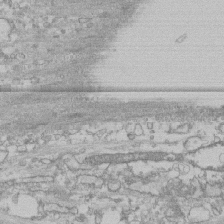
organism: Human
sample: CRL-1474